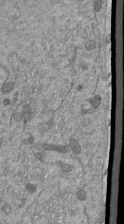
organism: Mouse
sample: ED-1 cell nuclei; centrioles